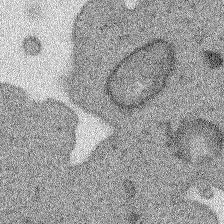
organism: Human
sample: HeLa cells